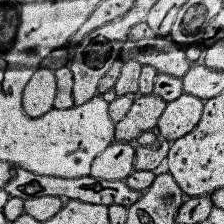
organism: Human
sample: Temporal Lobe